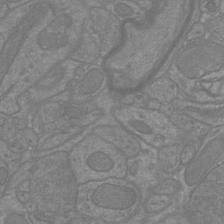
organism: Mouse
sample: Cortical neurons